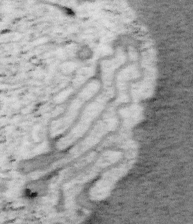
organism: Mouse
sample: OT-I killer T cells with ID8 ovarian cancer cells